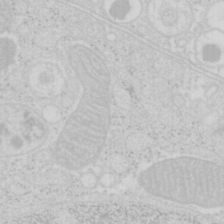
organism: Mouse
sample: Pancreas